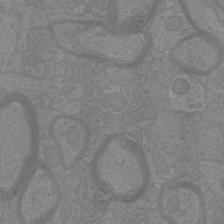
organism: Mouse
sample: Cortical neurons